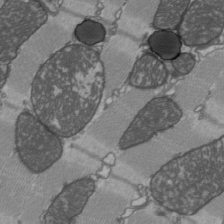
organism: C57BL Mouse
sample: Heart